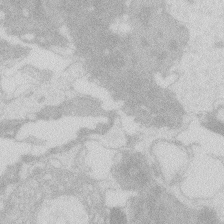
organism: Zebrafish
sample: Macrophage